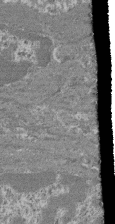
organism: Mouse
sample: Glomerulus